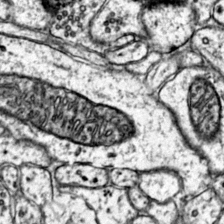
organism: Mouse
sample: Primary visual cortex